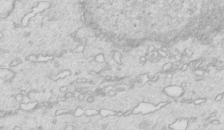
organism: Mouse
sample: Multiciliated cells